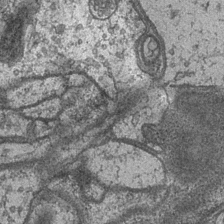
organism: Drosophila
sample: Optic medulla